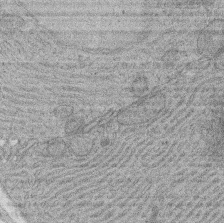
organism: Rat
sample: Salivary granule